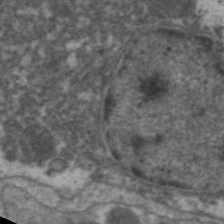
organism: C. elegans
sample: Pharynx